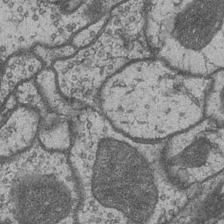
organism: Drosophila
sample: Optic medulla